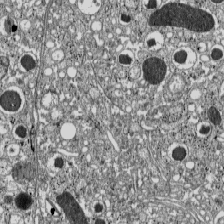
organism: C57BL Mouse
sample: Pancreatic islet